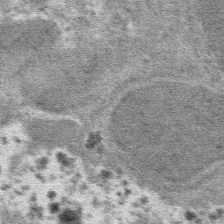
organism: Mouse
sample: Mouse hepatocytes